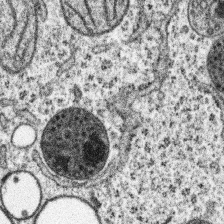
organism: Human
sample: HeLa cells